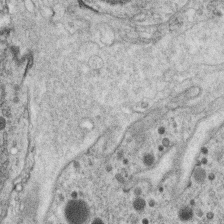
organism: C. elegans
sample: C. elegans oocyte; sperm cells